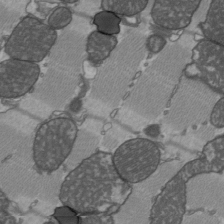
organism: C57BL Mouse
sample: Heart